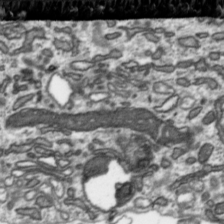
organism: Toxoplasma gondii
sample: Parasites in a vacuole inside a host cell